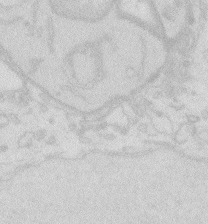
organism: Zebrafish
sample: Macrophage